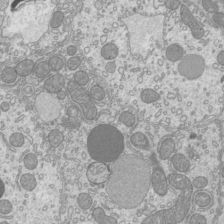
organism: Mouse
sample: Cilia; mouse epididymis